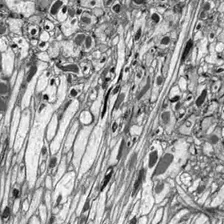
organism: Drosophila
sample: Optic lobe